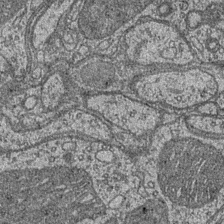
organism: Drosophila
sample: Optic medulla